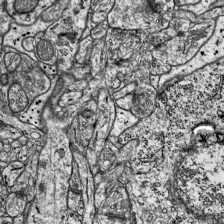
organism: Mouse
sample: Visual Cortex